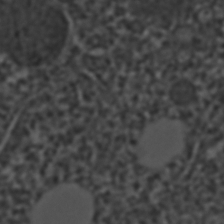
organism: C. elegans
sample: C. elegans embryo